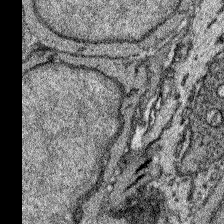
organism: Zebrafish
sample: Larval olfactory bulb